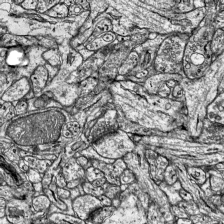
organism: Mouse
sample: Visual Cortex